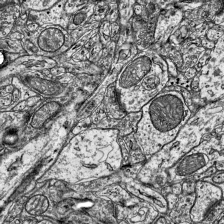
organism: Mouse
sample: Visual Cortex